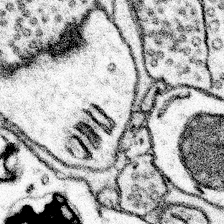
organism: Mouse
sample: Somatosensory cortex neuropil